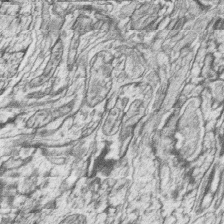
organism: Zebrafish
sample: synaptic ribbons in rod cells and cone cells